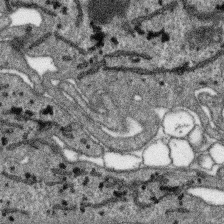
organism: Human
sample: Lung epithelial cells infected with SARS-CoV-2